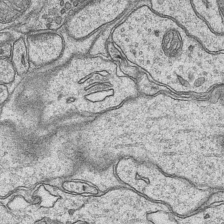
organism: Mouse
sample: CA1 Hippocampus